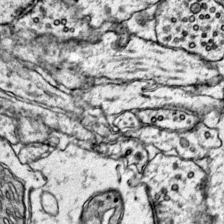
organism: Mouse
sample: Primary visual cortex